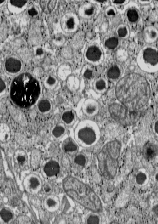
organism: C57BL Mouse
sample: Pancreatic islet